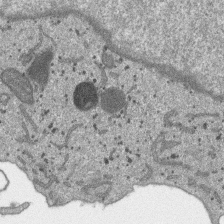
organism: Human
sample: Lung epithelial cells infected with SARS-CoV-2